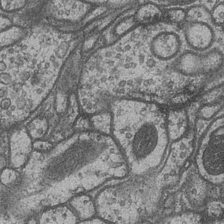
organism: Drosophila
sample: Optic medulla